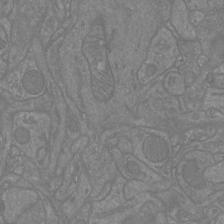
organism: Mouse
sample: Cortical neurons